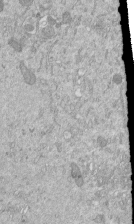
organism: Mouse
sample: ED-1 cell nuclei; centrioles